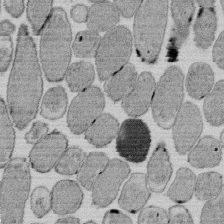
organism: E. coli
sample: Bacterial nucleoid